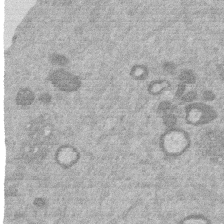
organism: Mouse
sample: Dividing mouse embryo 1 cell stage